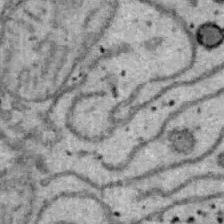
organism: Mouse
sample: Liver from an obese (ob/ob) mouse